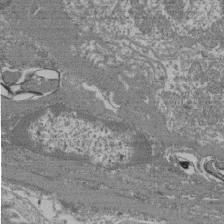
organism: Mouse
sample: Glomerulus